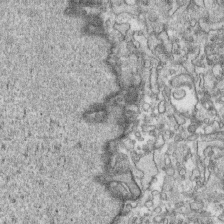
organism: Human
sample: CRL-1474